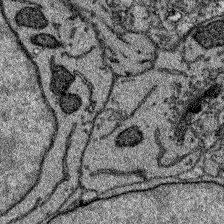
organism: Zebrafish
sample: Larval olfactory bulb